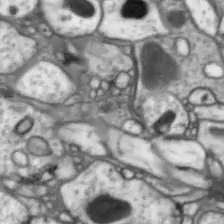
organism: Drosophila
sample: Optic lobe